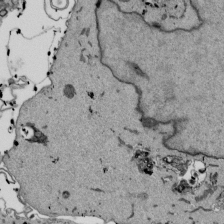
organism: Mouse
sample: ED-1 cell nuclei; centrioles